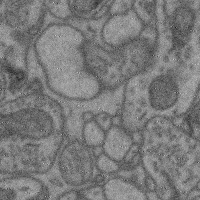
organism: Mouse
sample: Cerebral cortex